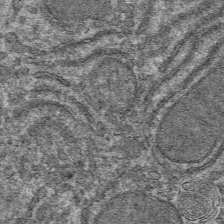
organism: Mouse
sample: Mouse hepatocytes